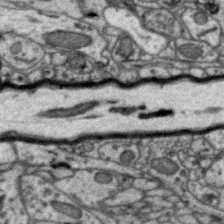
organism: Zebra finch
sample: Brain